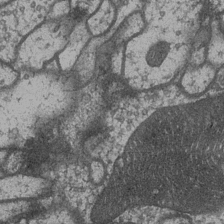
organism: Drosophila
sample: Optic medulla